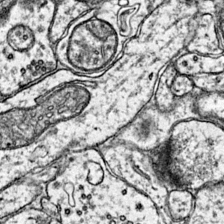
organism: Mouse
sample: Primary visual cortex